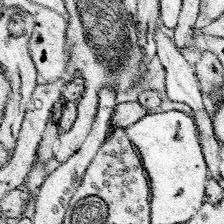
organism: Mouse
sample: Somatosensory cortex neuropil